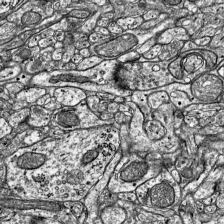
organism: Mouse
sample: Visual Cortex